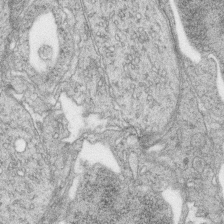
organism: Zebrafish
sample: synaptic ribbons in rod cells and cone cells